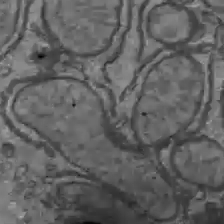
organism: C57BL Mouse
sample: Liver